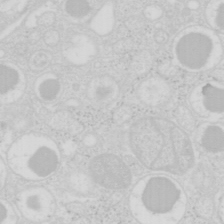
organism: Mouse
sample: Pancreas